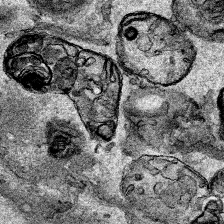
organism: Human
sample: Mitochondria in HCT116 cells